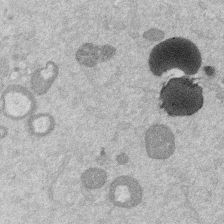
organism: Mouse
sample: Dividing mouse embryo 1 cell stage